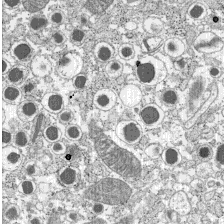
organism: C57BL Mouse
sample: Pancreatic islet